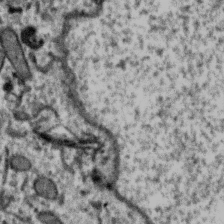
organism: Zebra finch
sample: Brain